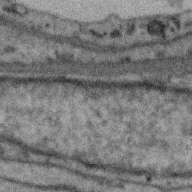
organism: Zebra finch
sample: Brain